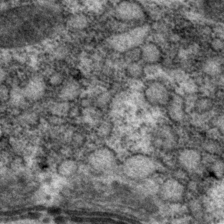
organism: P. pacificus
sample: Pharynx